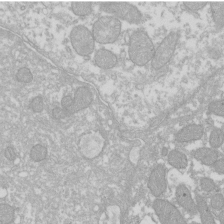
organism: Xenopus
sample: Cilia; centrioles in frog embryo cells